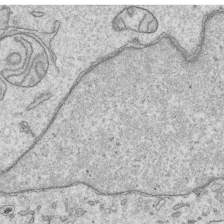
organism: Human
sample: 1205lu cells